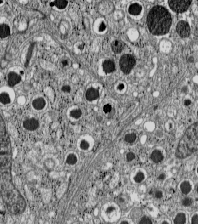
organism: C57BL Mouse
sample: Pancreatic islet